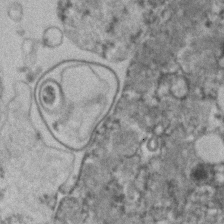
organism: Human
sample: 1205lu cells